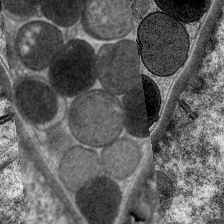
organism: C. elegans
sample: Pharynx